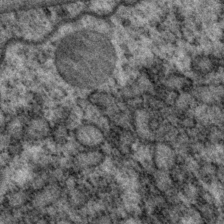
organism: P. pacificus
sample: Pharynx